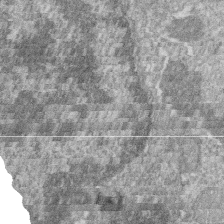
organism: Zebrafish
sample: Cilia; retinal pigment epithelium